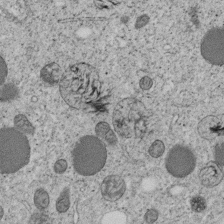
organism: C. elegans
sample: C. elegans embryo early stage